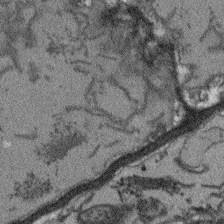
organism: Arabidopsis thaliana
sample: Root tip